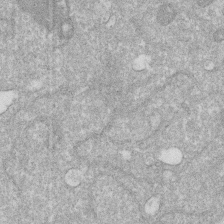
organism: Human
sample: HIV infected U937 cells